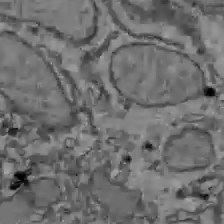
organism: C57BL Mouse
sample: Liver